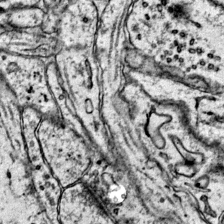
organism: Mouse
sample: Primary visual cortex